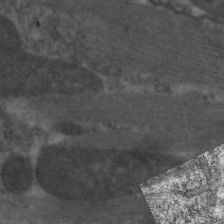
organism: C. elegans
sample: Pharynx